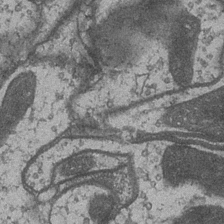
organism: Drosophila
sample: Optic medulla